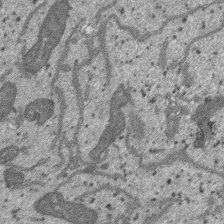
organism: Human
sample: Lung epithelial cells infected with SARS-CoV-2